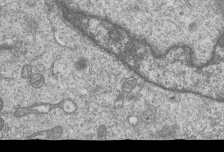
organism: Human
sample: MDA-MB-231 cells